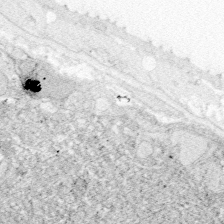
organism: Zebrafish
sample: Whole-Brain